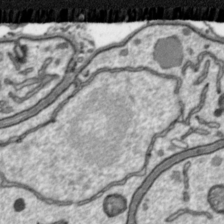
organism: Toxoplasma gondii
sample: Parasites in a vacuole inside a host cell